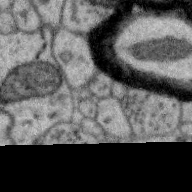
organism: Zebra finch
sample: Brain